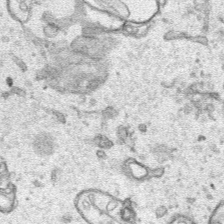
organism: Human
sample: Mitochondria in HCT116 cells